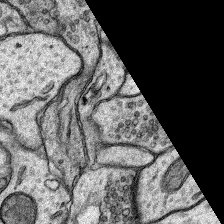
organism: Rat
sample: Hippocampus